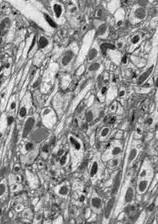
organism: Drosophila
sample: Optic lobe